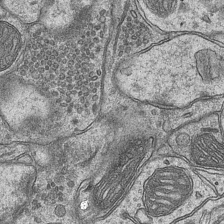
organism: Mouse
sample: CA1 Hippocampus